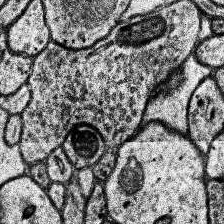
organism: Human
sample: Temporal Lobe